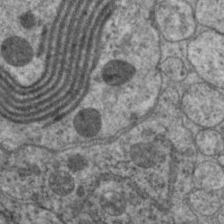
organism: C. elegans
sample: Pharynx